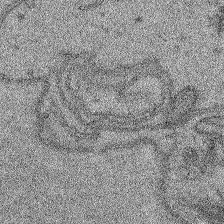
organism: Human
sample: HeLa cells